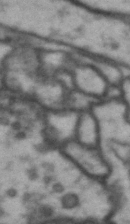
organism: Drosophila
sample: Brain